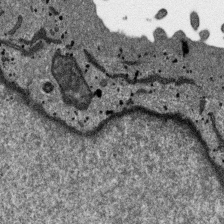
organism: Human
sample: Lung epithelial cells, uninfected (mock) control